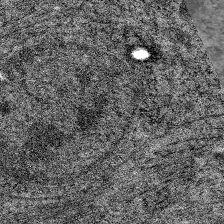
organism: C. elegans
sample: Pharynx